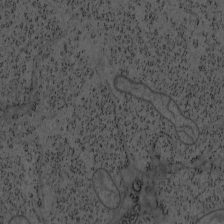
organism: Mouse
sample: OT-I killer T cells with ID8 ovarian cancer cells